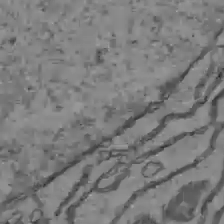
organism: C57BL Mouse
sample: Liver